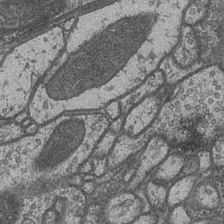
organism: Drosophila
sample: Optic medulla